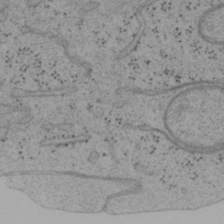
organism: Human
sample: HeLa cells